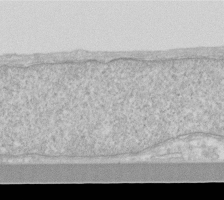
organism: Human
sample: Fibroblast cells